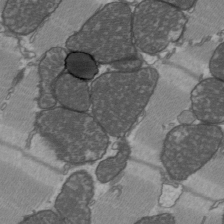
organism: C57BL Mouse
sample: Heart